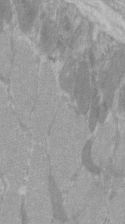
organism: C57BL Mouse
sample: Tibialis anterior muscle cell